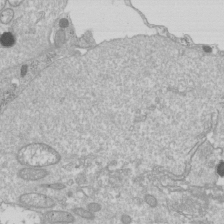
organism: Drosophila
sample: Cell division; meiosis; drosophila spermatocytes